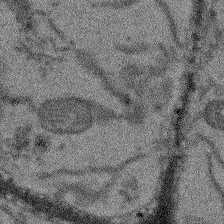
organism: Arabidopsis thaliana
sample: Root tip